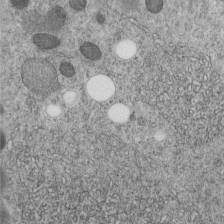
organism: C. elegans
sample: C. elegans embryo early stage